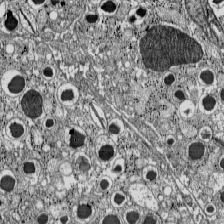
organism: C57BL Mouse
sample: Pancreatic islet